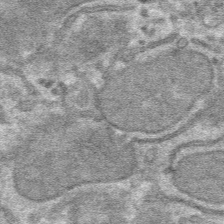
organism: Mouse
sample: Mouse hepatocytes